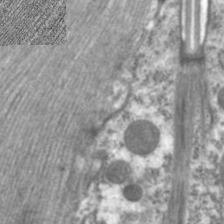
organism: C. elegans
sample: Pharynx